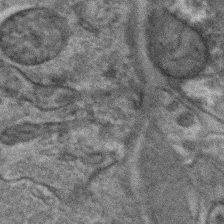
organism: C. elegans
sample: C. elegans embryo